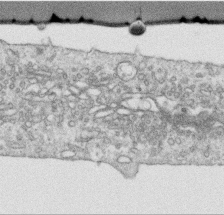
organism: Human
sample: Centriole in RPE cells